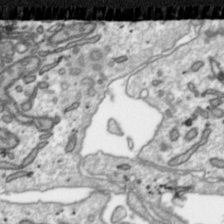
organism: Toxoplasma gondii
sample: Parasites in a vacuole inside a host cell